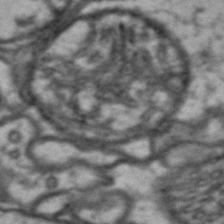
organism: Drosophila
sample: Brain